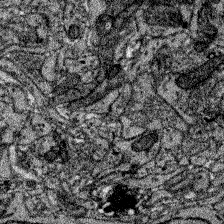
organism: Zebrafish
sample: Larval olfactory bulb